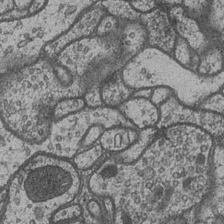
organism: Drosophila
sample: Optic medulla